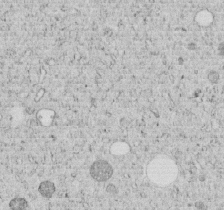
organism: C. elegans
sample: C. elegans embryo early stage